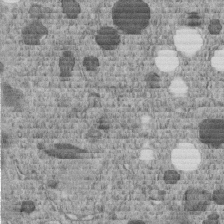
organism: C. elegans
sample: C. elegans embryo early stage